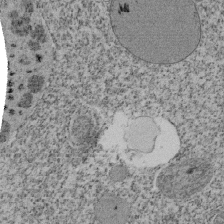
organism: Tetrahymena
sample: Cilia in tetrahymena